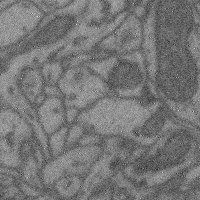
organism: Mouse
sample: Cerebral cortex